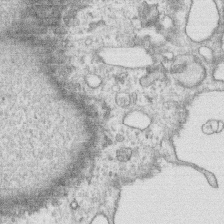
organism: Human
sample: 1205lu cells